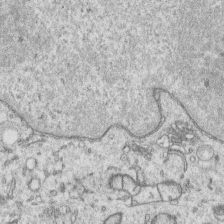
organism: Human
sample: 1205lu cells